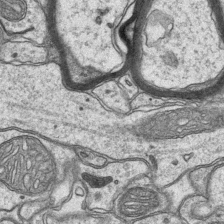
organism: Mouse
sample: CA1 Hippocampus